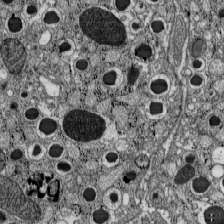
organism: C57BL Mouse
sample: Pancreatic islet